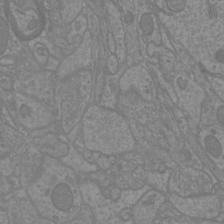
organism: Mouse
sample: Cortical neurons